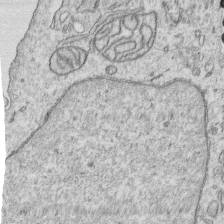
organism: Human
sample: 1205lu cells